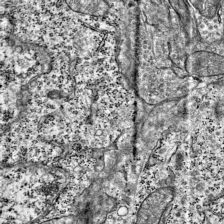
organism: Mouse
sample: Visual Cortex